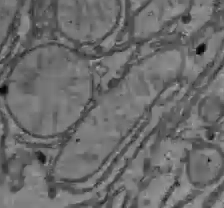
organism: C57BL Mouse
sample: Liver